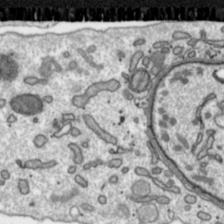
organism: Toxoplasma gondii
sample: Parasites in a vacuole inside a host cell